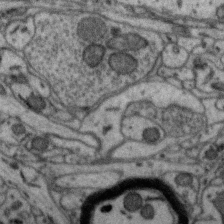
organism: Zebra finch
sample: Brain